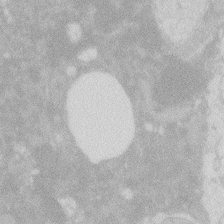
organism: Zebrafish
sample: Macrophage